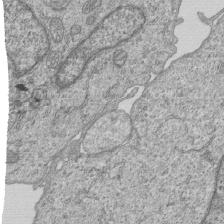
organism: Human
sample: MDA-MB-231 cells